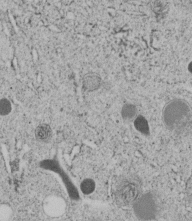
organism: C. elegans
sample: C. elegans embryo early stage